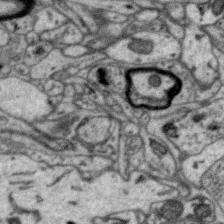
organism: Zebra finch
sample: Brain